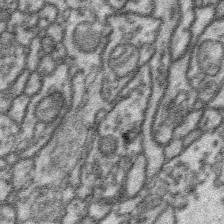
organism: Platynereis dumerilii